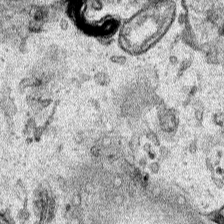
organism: Human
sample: Mitochondria in HCT116 cells